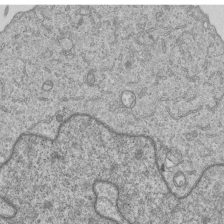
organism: Human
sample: MDA-MB-231 cells